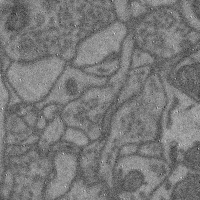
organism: Mouse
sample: Cerebral cortex